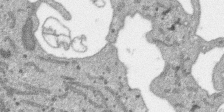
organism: Human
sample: Lung epithelial cells infected with SARS-CoV-2